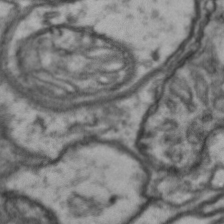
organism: Drosophila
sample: Brain